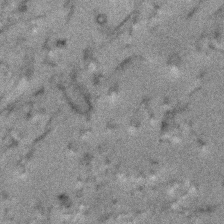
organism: Human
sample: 1205lu cells